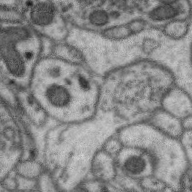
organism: Zebra finch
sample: Brain